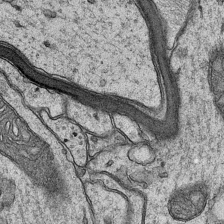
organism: Mouse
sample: CA1 Hippocampus